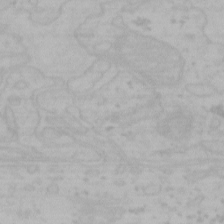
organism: Mouse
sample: Choroid plexus